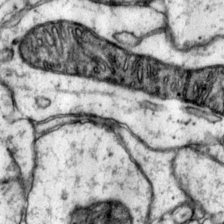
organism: Mouse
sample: Primary visual cortex